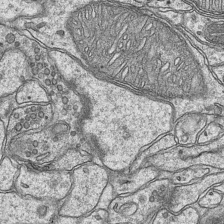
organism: Mouse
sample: CA1 Hippocampus